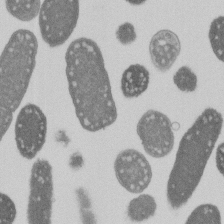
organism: E. coli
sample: Bacterial nucleoid